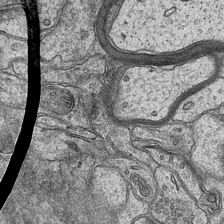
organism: Mouse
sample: CA1 Hippocampus